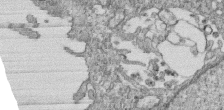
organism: Human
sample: HeLa cell HIV synapse